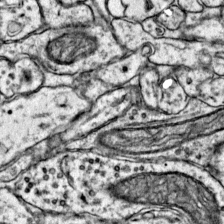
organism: Mouse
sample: Primary visual cortex